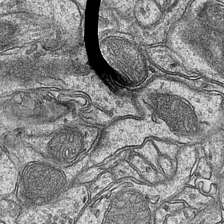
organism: Mouse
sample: CA1 Hippocampus